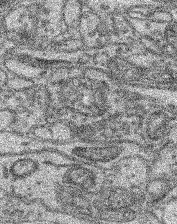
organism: Mouse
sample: Retina